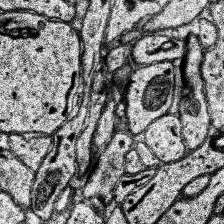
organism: Human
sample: Temporal Lobe